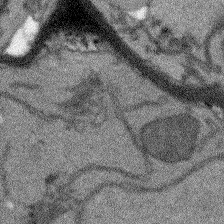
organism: Arabidopsis thaliana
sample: Root tip